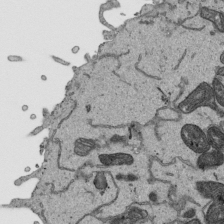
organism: Human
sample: Mitochondria in HCT116 cells